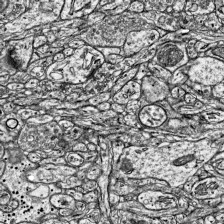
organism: Mouse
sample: Visual Cortex